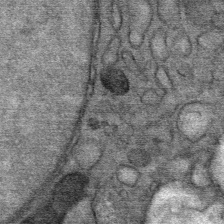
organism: Mouse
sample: Mouse Salivary gland